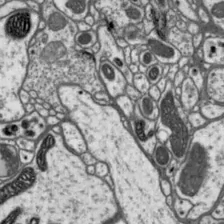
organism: Drosophila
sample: Protocerebral bridge